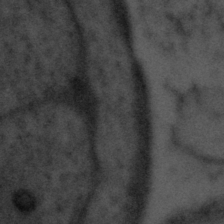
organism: Tuwongella immobilis